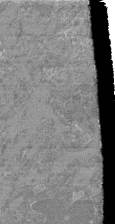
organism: Mouse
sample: Glomerulus